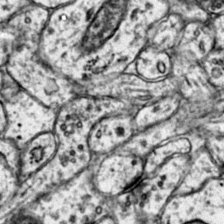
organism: Mouse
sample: Primary visual cortex